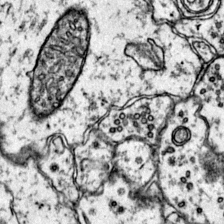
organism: Mouse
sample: Primary visual cortex